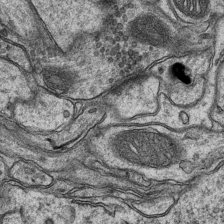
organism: Mouse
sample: CA1 Hippocampus